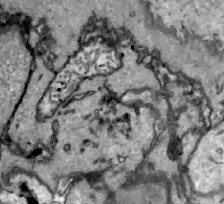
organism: Zebrafish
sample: Actinotrichia fibers